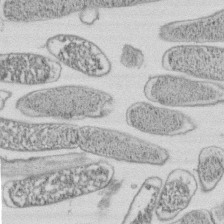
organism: E. coli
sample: Bacterial nucleoid